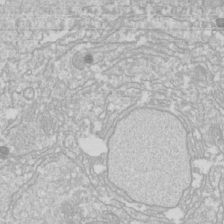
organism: Drosophila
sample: Cell division; meiosis; drosophila spermatocytes